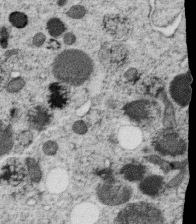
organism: C. elegans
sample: C. elegans oocyte; sperm cells